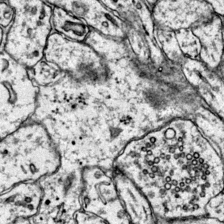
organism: Mouse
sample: Primary visual cortex